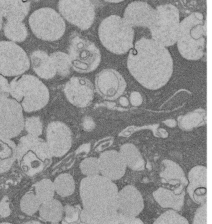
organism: Rat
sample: Salivary granule